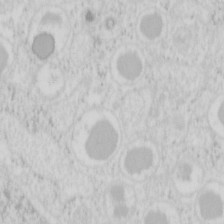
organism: Mouse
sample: Pancreas